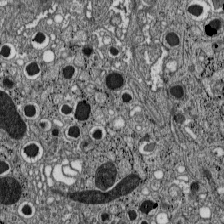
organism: C57BL Mouse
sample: Pancreatic islet